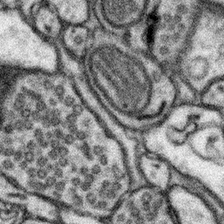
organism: Mouse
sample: Somatosensory cortex neuropil